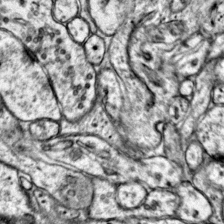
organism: Mouse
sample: Primary visual cortex